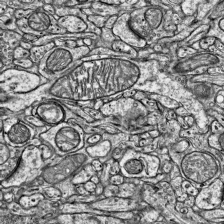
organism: Mouse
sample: Visual Cortex